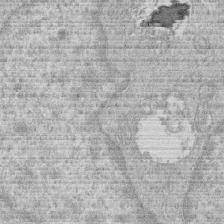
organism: Human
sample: Macrophage cells